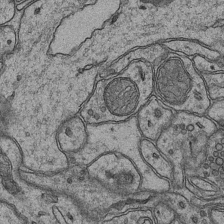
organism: Mouse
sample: CA1 Hippocampus